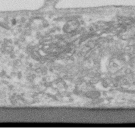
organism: Human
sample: Centriole in RPE cells